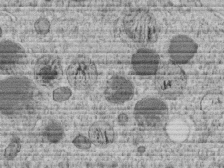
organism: C. elegans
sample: C. elegans embryo early stage